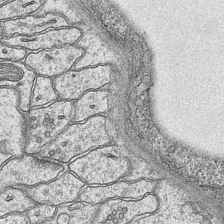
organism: Mouse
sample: CA1 Hippocampus